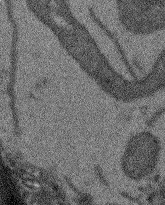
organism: Arabidopsis thaliana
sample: Root tip